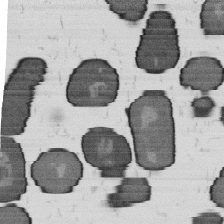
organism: B. subtilis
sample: Bacterial spore